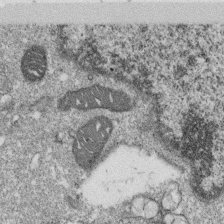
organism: African green monkey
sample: Vero E6 cells infected with SARS-CoV-2